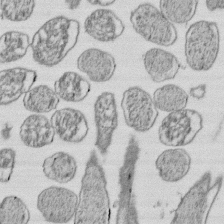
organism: E. coli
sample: Bacterial nucleoid